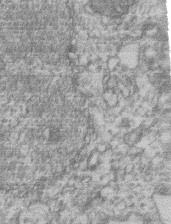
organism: Mouse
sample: T cell stromal cell synapse